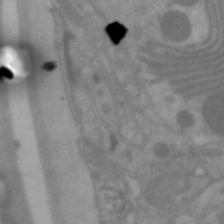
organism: C. elegans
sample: Pharynx